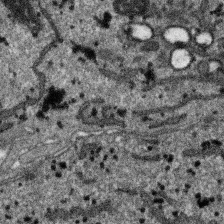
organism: Human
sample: Lung epithelial cells infected with SARS-CoV-2